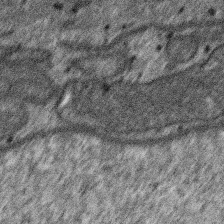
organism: Human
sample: Lung epithelial cells infected with SARS-CoV-2